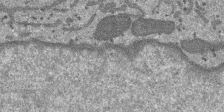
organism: Human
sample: Lung epithelial cells infected with SARS-CoV-2